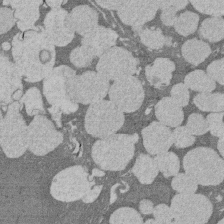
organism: Rat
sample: Salivary granule